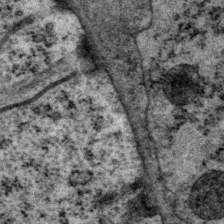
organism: P. pacificus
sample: Pharynx